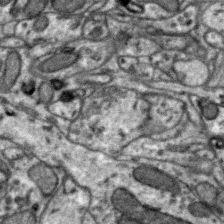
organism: Zebra finch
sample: Brain